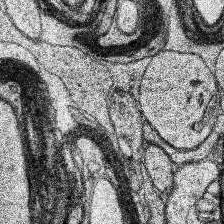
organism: Human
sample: Temporal Lobe